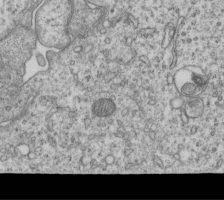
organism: Human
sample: MDA-MB-231 cells